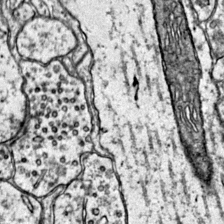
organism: Mouse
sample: Primary visual cortex